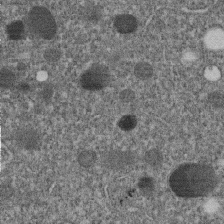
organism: C. elegans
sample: C. elegans embryo early stage